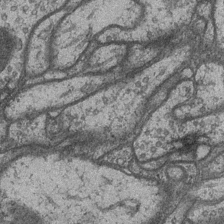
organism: Drosophila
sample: Optic medulla